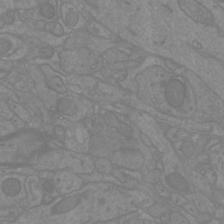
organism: Mouse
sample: Cortical neurons